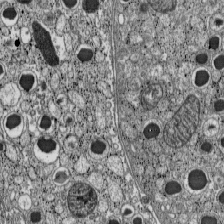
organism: C57BL Mouse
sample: Pancreatic islet